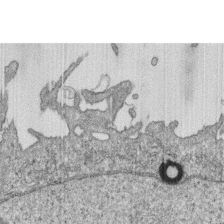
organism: Human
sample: HeLa cell HIV synapse